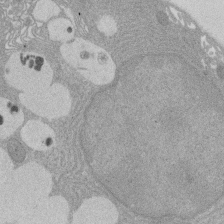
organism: Rat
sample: Salivary granule